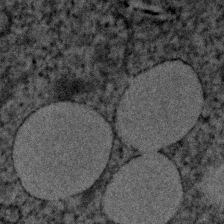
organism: Human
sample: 1205lu cells